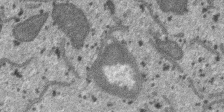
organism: Human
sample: Lung epithelial cells infected with SARS-CoV-2